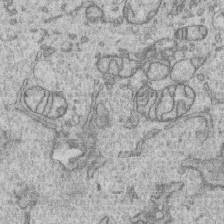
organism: Human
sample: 1205lu cells